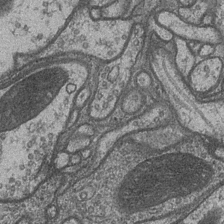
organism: Drosophila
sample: Optic medulla